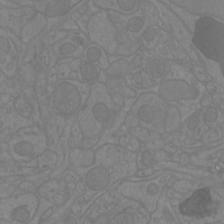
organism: Mouse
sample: Cortical neurons